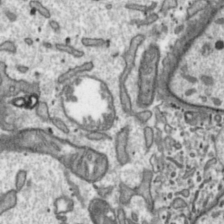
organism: Toxoplasma gondii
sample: Parasites in a vacuole inside a host cell